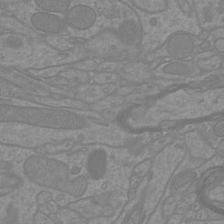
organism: Mouse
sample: Cortical neurons